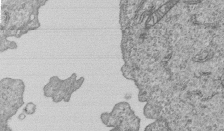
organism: Human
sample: MDA-MB-231 cells